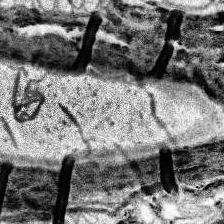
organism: Human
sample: Temporal Lobe